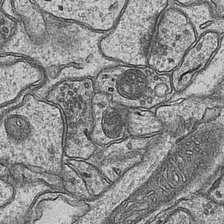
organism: Mouse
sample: CA1 Hippocampus